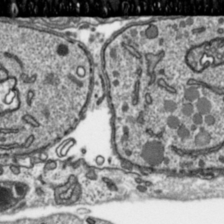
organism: Toxoplasma gondii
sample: Parasites in a vacuole inside a host cell